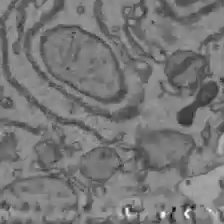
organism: C57BL Mouse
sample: Liver